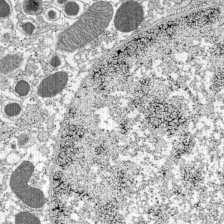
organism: C57BL Mouse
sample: Pancreatic islet